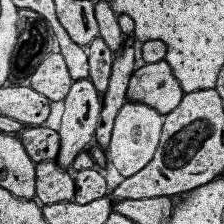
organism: Human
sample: Temporal Lobe